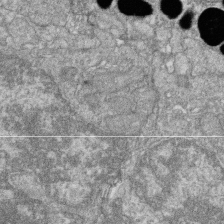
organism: Zebrafish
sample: Cilia; retinal pigment epithelium